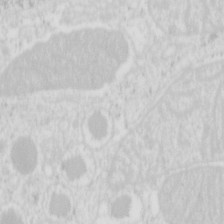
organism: Mouse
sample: Pancreas